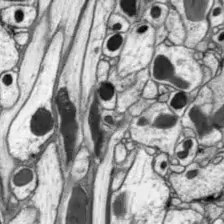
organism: Drosophila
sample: Optic lobe